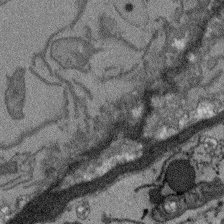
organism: Arabidopsis thaliana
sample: Root tip